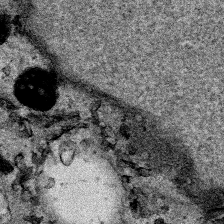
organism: Human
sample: Mitochondria in HCT116 cells